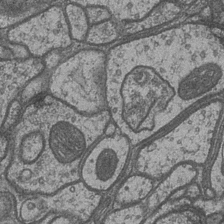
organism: Drosophila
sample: Optic medulla